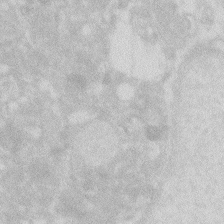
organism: Zebrafish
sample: Macrophage